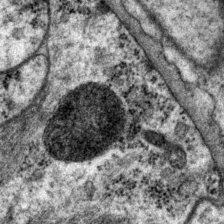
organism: P. pacificus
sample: Pharynx